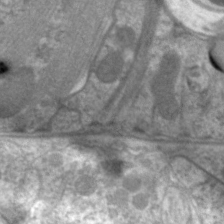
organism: C. elegans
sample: Pharynx